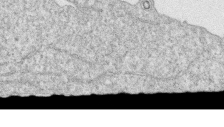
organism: Human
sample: HeLa cell HIV synapse